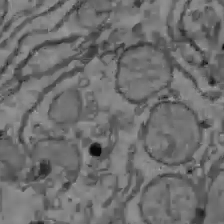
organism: C57BL Mouse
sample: Liver